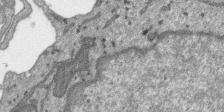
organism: Human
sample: Lung epithelial cells infected with SARS-CoV-2